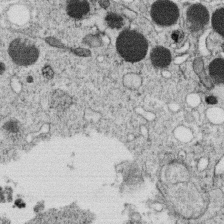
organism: C. elegans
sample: C. elegans oocyte; sperm cells